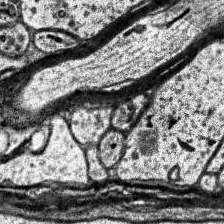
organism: Human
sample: Temporal Lobe